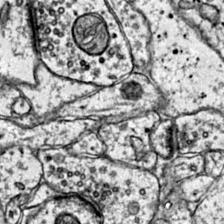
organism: Mouse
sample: Primary visual cortex